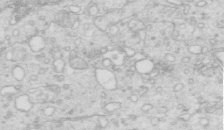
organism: Mouse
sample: Multiciliated cells